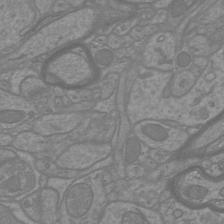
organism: Mouse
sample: Cortical neurons